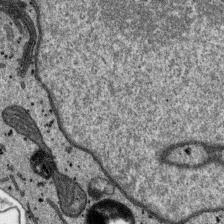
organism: Human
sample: Lung epithelial cells, uninfected (mock) control